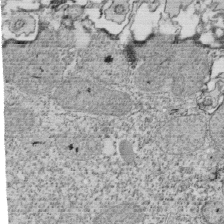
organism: Tetrahymena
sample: Cilia in tetrahymena